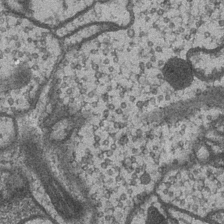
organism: Drosophila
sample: Optic medulla